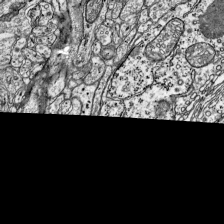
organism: Mouse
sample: Visual Cortex